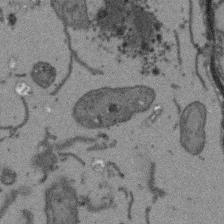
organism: Arabidopsis thaliana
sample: Root tip